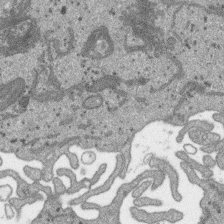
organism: Human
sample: Lung epithelial cells infected with SARS-CoV-2